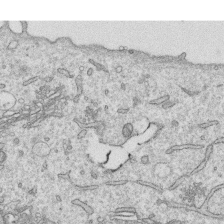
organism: Human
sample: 1205lu cells